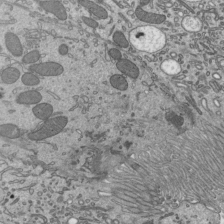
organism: Mouse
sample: Mouse epididymis efferent ductule cilia